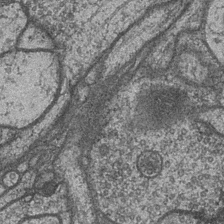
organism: Drosophila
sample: Optic medulla